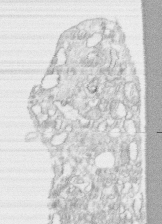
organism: Human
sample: CRL-1474